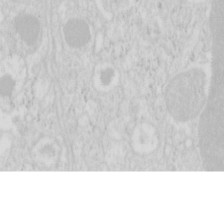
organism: Mouse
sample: Pancreas